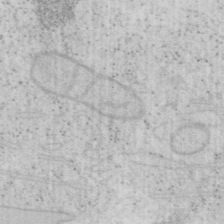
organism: Human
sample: HeLa cells